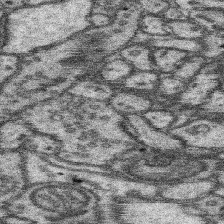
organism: Mouse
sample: Somatosensory cortex neuropil